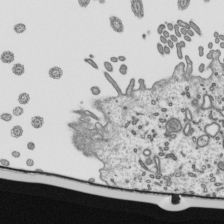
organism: Mouse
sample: Mouse epididymis efferent ductule cilia